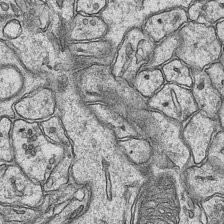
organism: Mouse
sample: CA1 Hippocampus